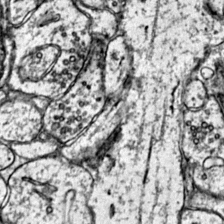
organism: Mouse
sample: Primary visual cortex